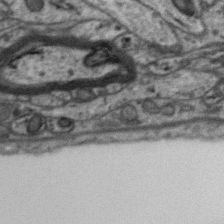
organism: Zebra finch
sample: Brain